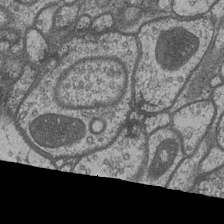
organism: Drosophila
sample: Optic medulla